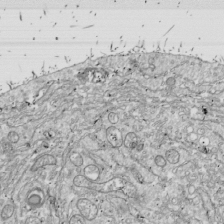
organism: Drosophila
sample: Cell division; meiosis; drosophila spermatocytes